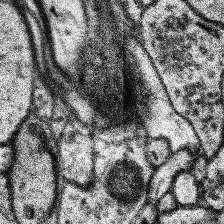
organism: Human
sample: Temporal Lobe